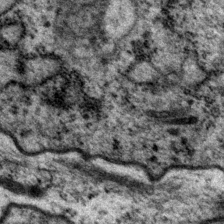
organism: P. pacificus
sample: Pharynx